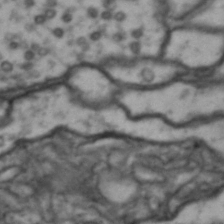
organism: Drosophila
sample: Brain